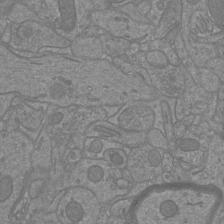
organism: Mouse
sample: Cortical neurons